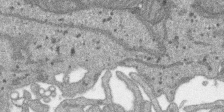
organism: Human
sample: Lung epithelial cells infected with SARS-CoV-2